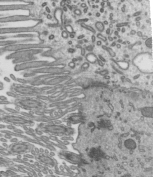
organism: Mouse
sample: Mouse epididymis efferent ductule cilia